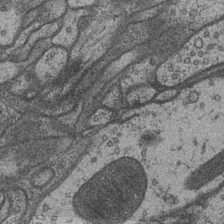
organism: Drosophila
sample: Optic medulla